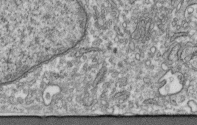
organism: Human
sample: Centriole in fibroblast cells